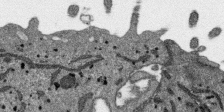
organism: Human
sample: Lung epithelial cells, uninfected (mock) control